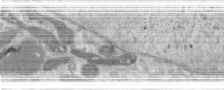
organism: Human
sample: Centriole in RPE cells